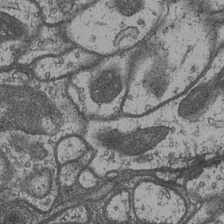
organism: Drosophila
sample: Optic medulla